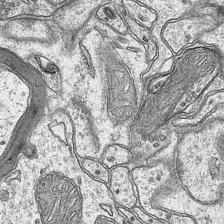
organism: Mouse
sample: CA1 Hippocampus